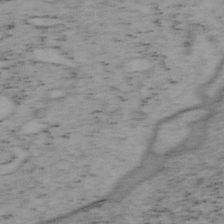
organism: Mouse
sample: OT-I killer T cells with ID8 ovarian cancer cells